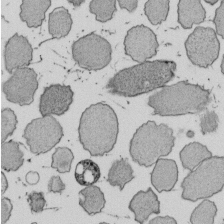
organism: E. coli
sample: Bacterial nucleoid